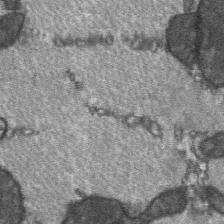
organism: C57BL Mouse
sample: Soleus